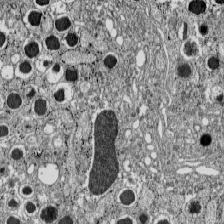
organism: C57BL Mouse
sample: Pancreatic islet